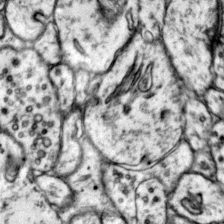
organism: Mouse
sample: Primary visual cortex